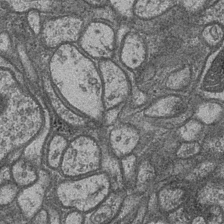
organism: Drosophila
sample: Optic medulla